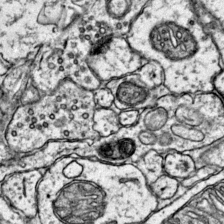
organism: Mouse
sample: Primary visual cortex